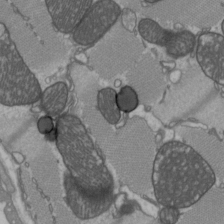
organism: C57BL Mouse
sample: Heart